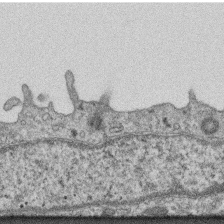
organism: Mouse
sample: Centriole in ependymal cells